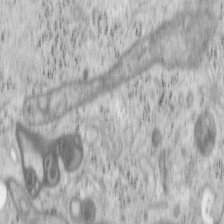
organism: Human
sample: HeLa cells